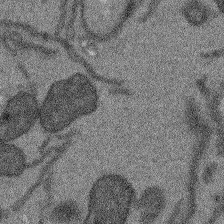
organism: Arabidopsis thaliana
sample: Root tip